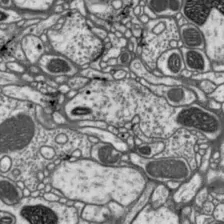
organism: Drosophila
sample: Protocerebral bridge